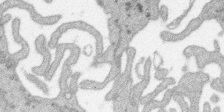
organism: Human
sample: Lung epithelial cells infected with SARS-CoV-2